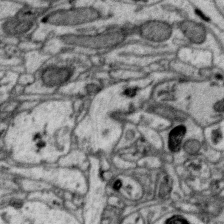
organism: Zebra finch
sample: Brain